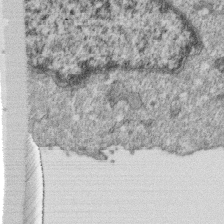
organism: African green monkey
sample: Vero E6 cells infected with SARS-CoV-2